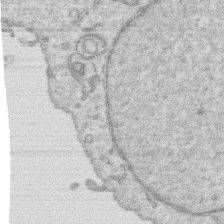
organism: Human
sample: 1205lu cells